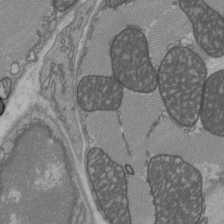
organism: C57BL Mouse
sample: Heart